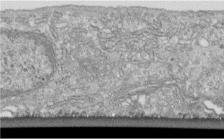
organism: Human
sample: Centriole in fibroblast cells